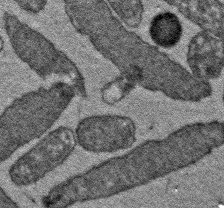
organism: E. coli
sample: E. Coli Bacteria